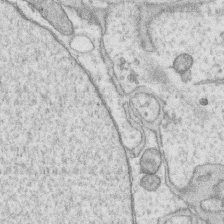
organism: Human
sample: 1205lu cells